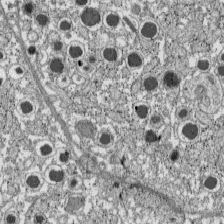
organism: C57BL Mouse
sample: Pancreatic islet